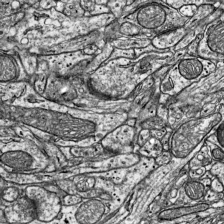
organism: Mouse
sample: Visual Cortex